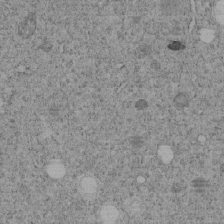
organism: C. elegans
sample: C. elegans embryo early stage